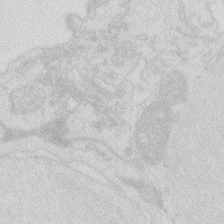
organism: Zebrafish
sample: Macrophage